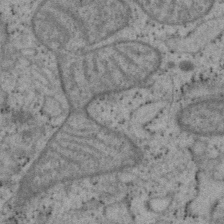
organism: Human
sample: HeLa cells